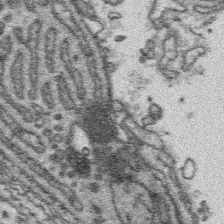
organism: Platynereis dumerilii